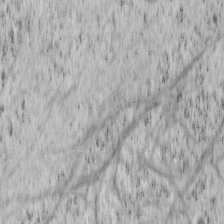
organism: Human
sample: HeLa cells